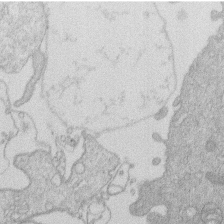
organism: Human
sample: Macrophage cells